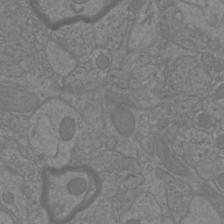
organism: Mouse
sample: Cortical neurons